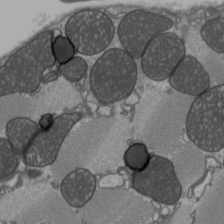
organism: C57BL Mouse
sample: Heart